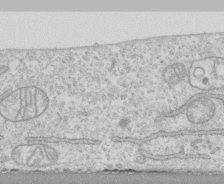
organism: Human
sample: CRL-1474